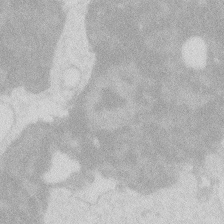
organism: Zebrafish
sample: Macrophage